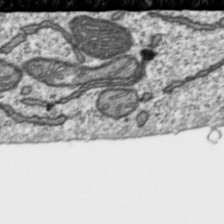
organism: Toxoplasma gondii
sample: Parasites in a vacuole inside a host cell